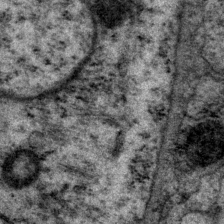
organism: P. pacificus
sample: Pharynx